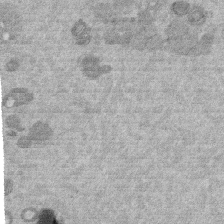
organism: Mouse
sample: Dividing mouse embryo 1 cell stage